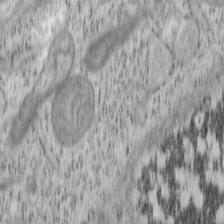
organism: Human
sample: HeLa cells